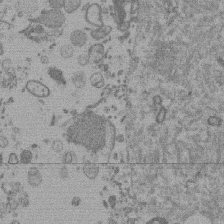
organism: Mouse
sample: Dividing mouse embryo 1 cell stage